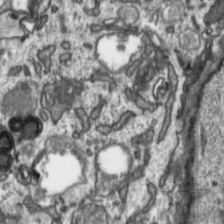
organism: Toxoplasma gondii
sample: Parasites in a vacuole inside a host cell